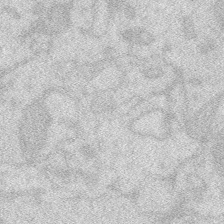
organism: Zebrafish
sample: Macrophage